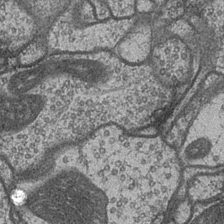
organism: Drosophila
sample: Optic medulla